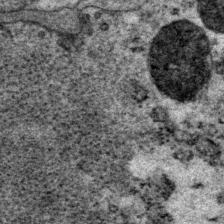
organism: P. pacificus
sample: Pharynx